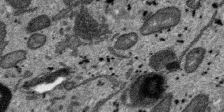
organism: Human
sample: Lung epithelial cells, uninfected (mock) control